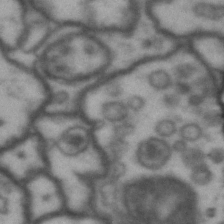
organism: Drosophila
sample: Brain